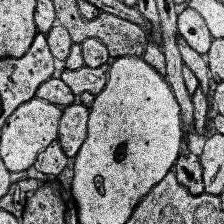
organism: Human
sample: Temporal Lobe